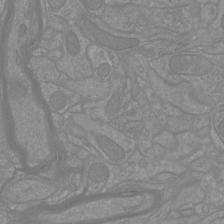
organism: Mouse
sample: Cortical neurons